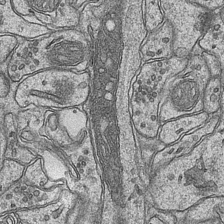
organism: Mouse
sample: CA1 Hippocampus